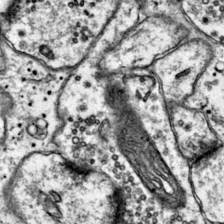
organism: Mouse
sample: Primary visual cortex